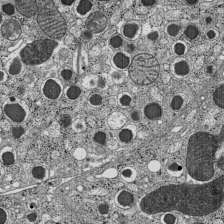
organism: C57BL Mouse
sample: Pancreatic islet